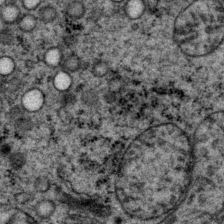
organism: P. pacificus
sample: Pharynx